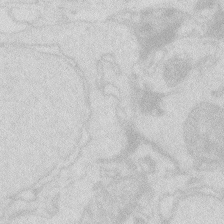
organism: Zebrafish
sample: Macrophage